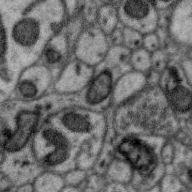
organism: Zebra finch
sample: Brain